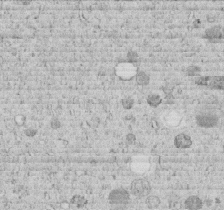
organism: C. elegans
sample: C. elegans embryo early stage